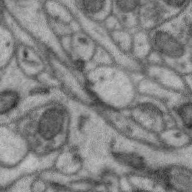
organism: Zebra finch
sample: Brain